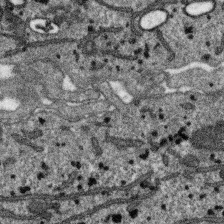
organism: Human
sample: Lung epithelial cells infected with SARS-CoV-2